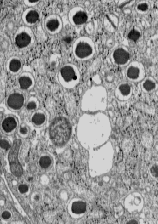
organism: C57BL Mouse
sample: Pancreatic islet